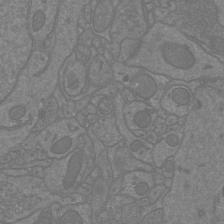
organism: Mouse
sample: Cortical neurons